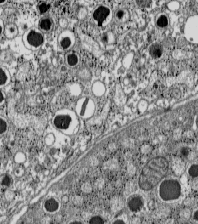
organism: C57BL Mouse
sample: Pancreatic islet